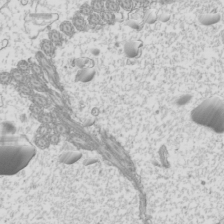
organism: Mouse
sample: Cilia; mouse epididymis